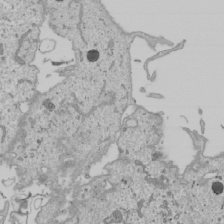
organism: Human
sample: Mitochondria in U2OS cells